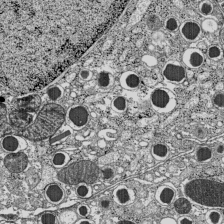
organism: C57BL Mouse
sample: Pancreatic islet